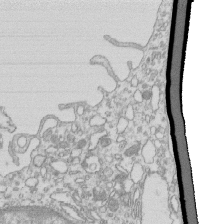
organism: Mouse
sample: Macrophages